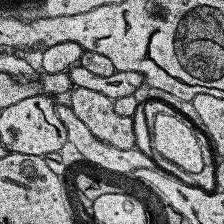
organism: Human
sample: Temporal Lobe